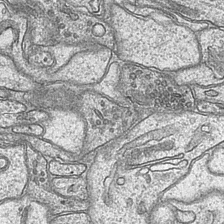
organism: Mouse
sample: CA1 Hippocampus